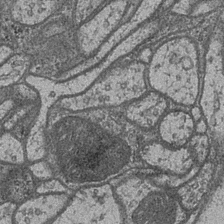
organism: Drosophila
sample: Optic medulla